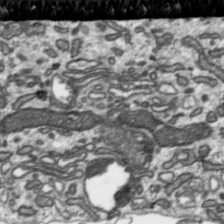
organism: Toxoplasma gondii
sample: Parasites in a vacuole inside a host cell